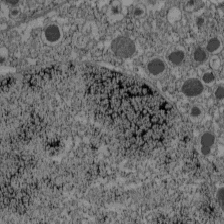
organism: C57BL Mouse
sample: Pancreatic islet